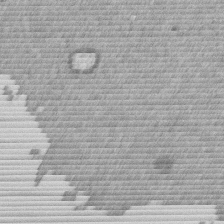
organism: Mouse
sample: Dividing mouse embryo 1 cell stage